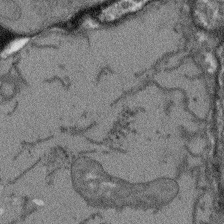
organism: Arabidopsis thaliana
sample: Root tip